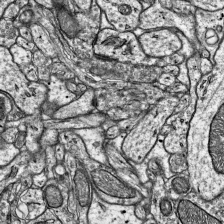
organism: Mouse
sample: Visual Cortex